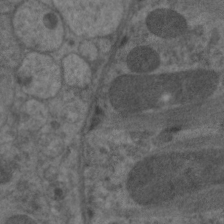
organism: C. elegans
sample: Pharynx